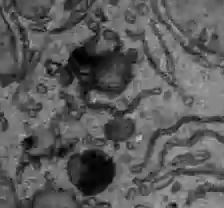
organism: C57BL Mouse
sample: Liver